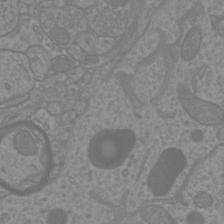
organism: Mouse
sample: Cortical neurons